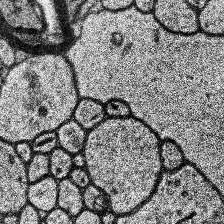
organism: Human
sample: Temporal Lobe